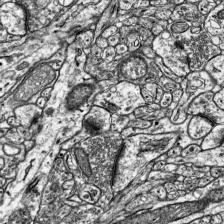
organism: Mouse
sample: Visual Cortex